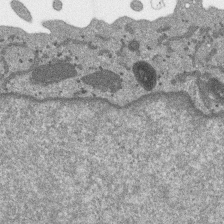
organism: Human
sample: Lung epithelial cells infected with SARS-CoV-2